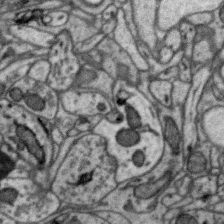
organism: Zebra finch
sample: Brain